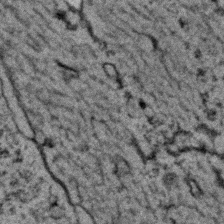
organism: C. elegans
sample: C. elegans embryo